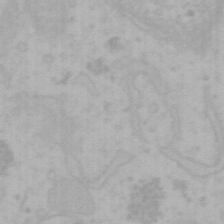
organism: Mouse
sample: Choroid plexus